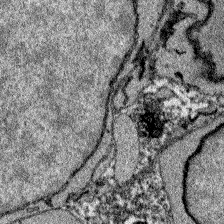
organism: Zebrafish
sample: Larval olfactory bulb